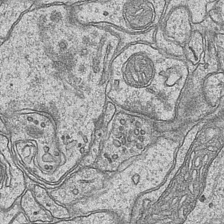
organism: Mouse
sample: CA1 Hippocampus